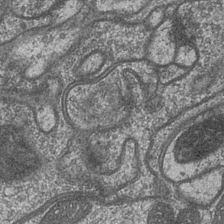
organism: Drosophila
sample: Optic medulla